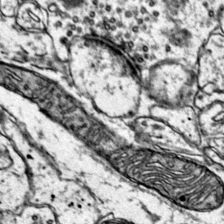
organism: Mouse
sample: Primary visual cortex